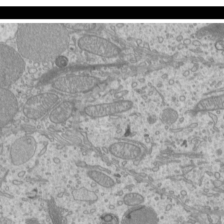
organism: Mouse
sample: Cilia; mouse epididymis